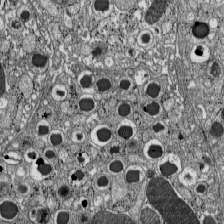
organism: C57BL Mouse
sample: Pancreatic islet